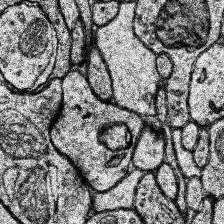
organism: Human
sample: Temporal Lobe